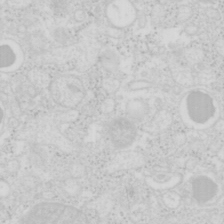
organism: Mouse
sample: Pancreas